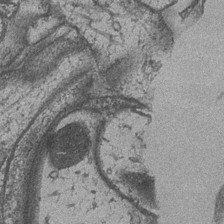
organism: Drosophila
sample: Optic medulla